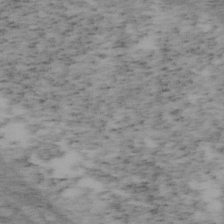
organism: Mouse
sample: OT-I killer T cells with ID8 ovarian cancer cells